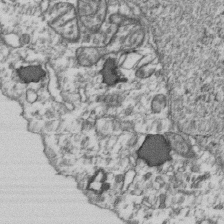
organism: Human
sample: Activated Jurkat CD4+ T cells